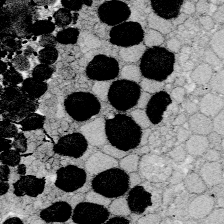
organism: Zebrafish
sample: Whole-Brain